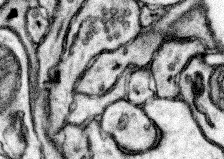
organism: Mouse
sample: Somatosensory cortex neuropil